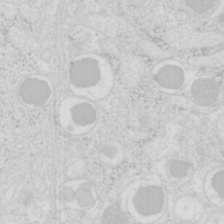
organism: Mouse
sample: Pancreas